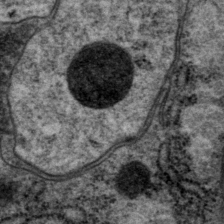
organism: P. pacificus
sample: Pharynx